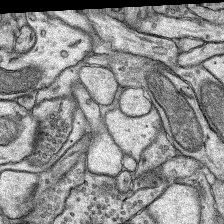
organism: Rat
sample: Hippocampus